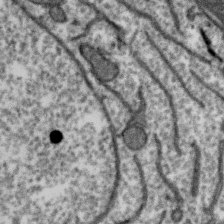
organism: Zebra finch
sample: Brain